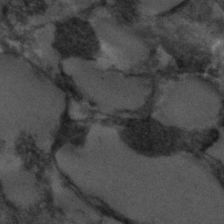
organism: C. elegans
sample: C. elegans embryo